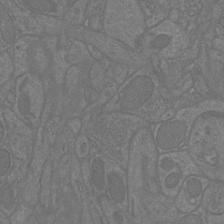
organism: Mouse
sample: Cortical neurons